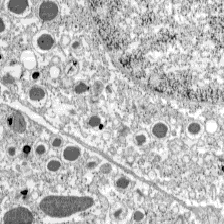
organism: C57BL Mouse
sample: Pancreatic islet